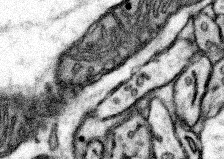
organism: Mouse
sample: Somatosensory cortex neuropil